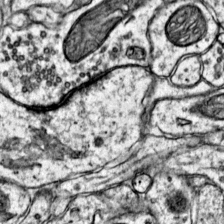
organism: Mouse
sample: Primary visual cortex